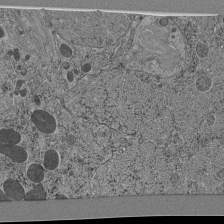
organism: C. elegans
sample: C. elegans pharynx